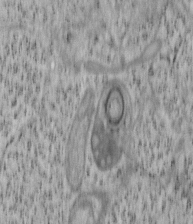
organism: Human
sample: HeLa cells